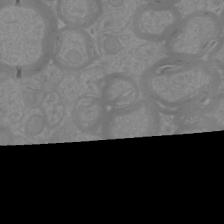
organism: Mouse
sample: Cortical neurons